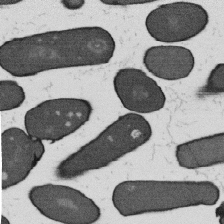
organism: B. subtilis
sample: Bacterial spore